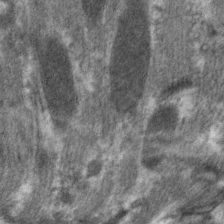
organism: C. elegans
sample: Pharynx